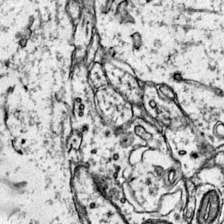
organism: Mouse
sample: Primary visual cortex